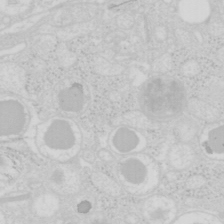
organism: Mouse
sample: Pancreas